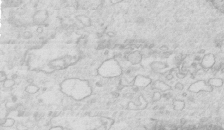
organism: Mouse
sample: Multiciliated cells